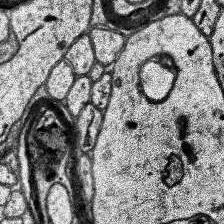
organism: Human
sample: Temporal Lobe